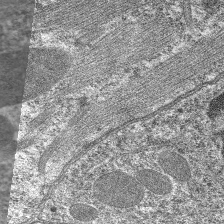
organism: C. elegans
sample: Pharynx